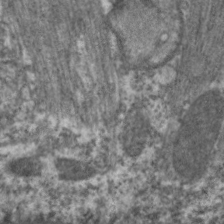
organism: C. elegans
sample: Pharynx